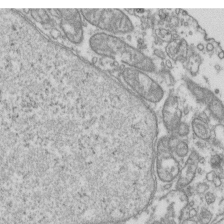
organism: Human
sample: Activated Jurkat CD4+ T cells